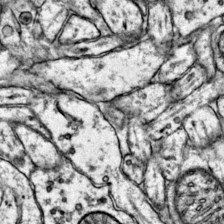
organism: Mouse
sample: Primary visual cortex